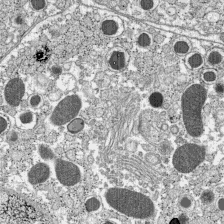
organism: C57BL Mouse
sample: Pancreatic islet